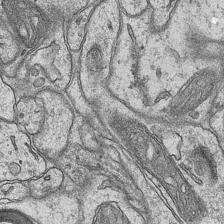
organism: Mouse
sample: CA1 Hippocampus